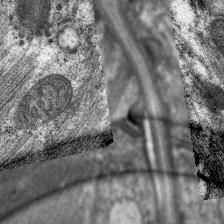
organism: C. elegans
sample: Pharynx